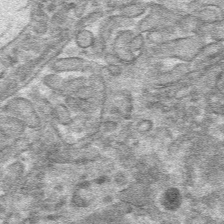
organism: Mouse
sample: Mouse hepatocytes